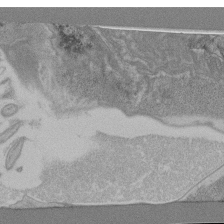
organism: C. elegans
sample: C. elegans pharynx